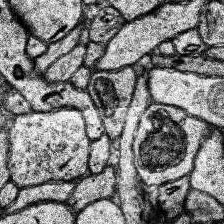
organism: Human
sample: Temporal Lobe